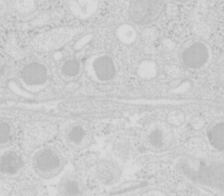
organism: Mouse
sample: Pancreas